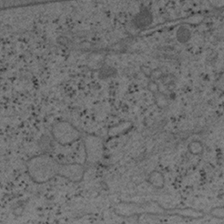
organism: Human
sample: HeLa cells